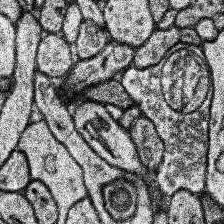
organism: Human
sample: Temporal Lobe